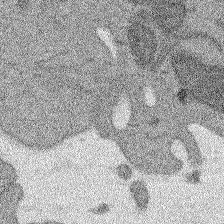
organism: Human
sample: HeLa cells